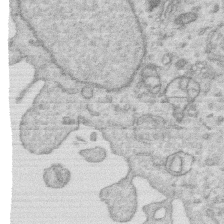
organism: Human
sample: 1205lu cells